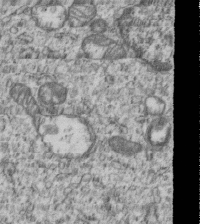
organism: Human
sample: MDA-MB-231 cells